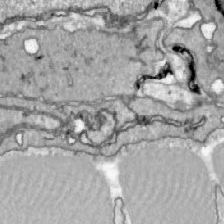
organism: Zebrafish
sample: Actinotrichia fibers